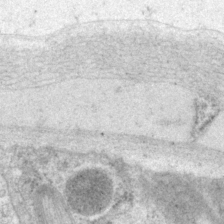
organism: P. pacificus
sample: Pharynx